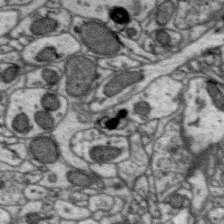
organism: Zebra finch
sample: Brain